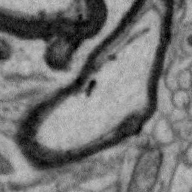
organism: Zebra finch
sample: Brain